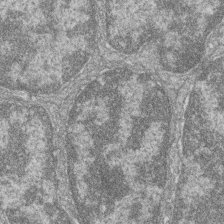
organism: Zebrafish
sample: Cilia; retinal pigment epithelium